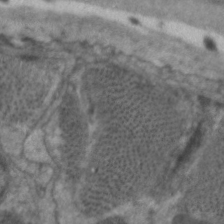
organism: C. elegans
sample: Pharynx